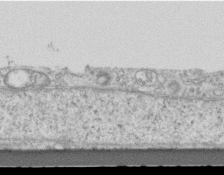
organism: Mouse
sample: Centriole in ependymal cells